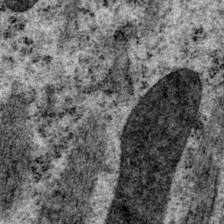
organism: P. pacificus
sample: Pharynx